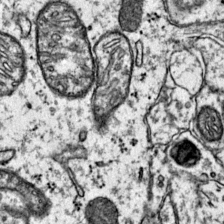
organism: Mouse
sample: Primary visual cortex